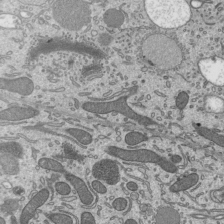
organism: Mouse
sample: Mouse epididymis efferent ductule cilia